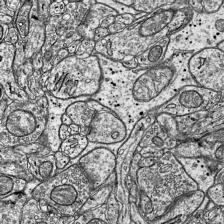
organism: Mouse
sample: Visual Cortex